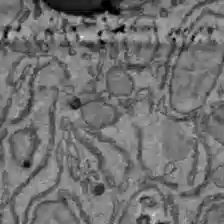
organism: C57BL Mouse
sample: Liver